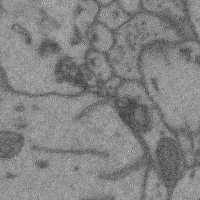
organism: Mouse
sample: Cerebral cortex